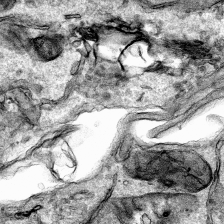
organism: Human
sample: Mitochondria in HCT116 cells